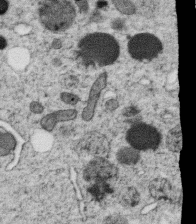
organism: C. elegans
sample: C. elegans oocyte; sperm cells